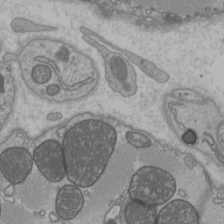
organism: C57BL Mouse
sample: Heart